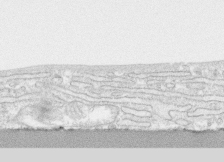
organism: Human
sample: CRL-1474